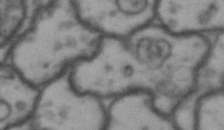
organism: Drosophila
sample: Brain